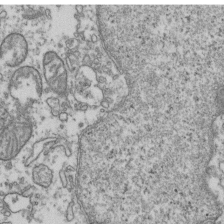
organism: Human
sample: Activated Jurkat CD4+ T cells